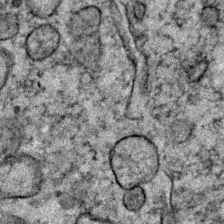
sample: Trachea